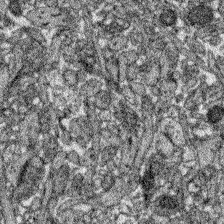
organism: Zebrafish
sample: Larval olfactory bulb